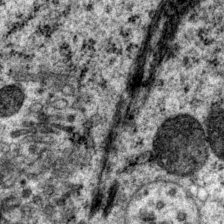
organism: P. pacificus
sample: Pharynx